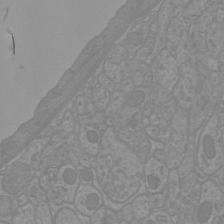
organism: Mouse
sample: Cortical neurons